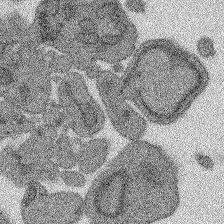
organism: Human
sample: HeLa cells